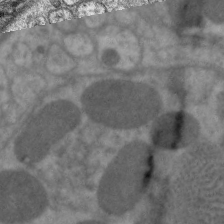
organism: C. elegans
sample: Pharynx